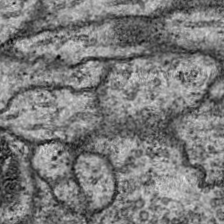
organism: Drosophila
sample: Ventral Nerve Cord